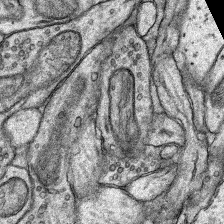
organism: Rat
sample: Hippocampus